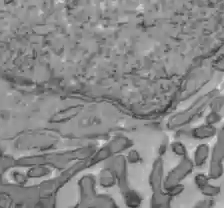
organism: C57BL Mouse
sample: Liver